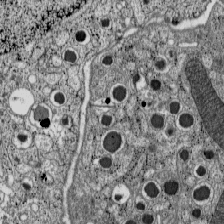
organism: C57BL Mouse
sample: Pancreatic islet